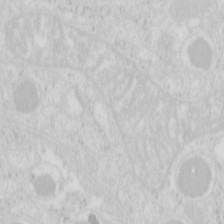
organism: Mouse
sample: Pancreas